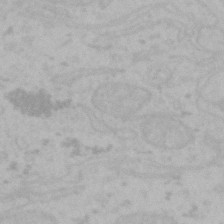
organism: Mouse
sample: Choroid plexus